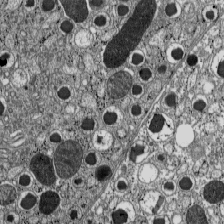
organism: C57BL Mouse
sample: Pancreatic islet